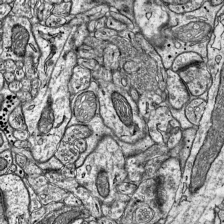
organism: Mouse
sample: Visual Cortex